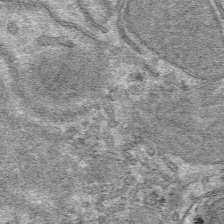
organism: Mouse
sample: Mouse hepatocytes